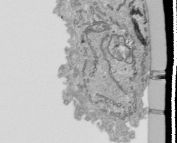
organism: Human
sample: Mitochondria in HCT116 cells